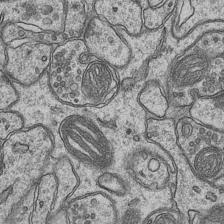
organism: Mouse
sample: CA1 Hippocampus